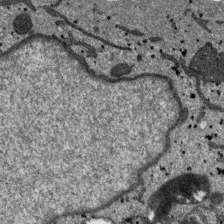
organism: Human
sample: Lung epithelial cells, uninfected (mock) control